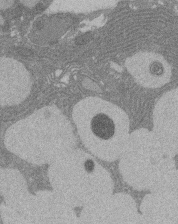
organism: Rat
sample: Salivary granule